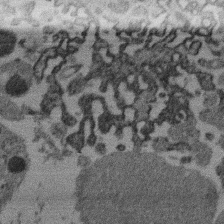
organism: Mouse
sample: Dividing mouse embryo 1 cell stage